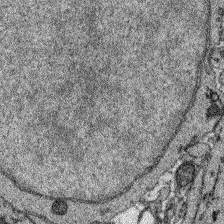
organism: Zebrafish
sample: Larval olfactory bulb